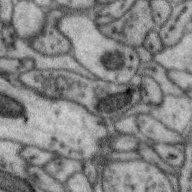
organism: Zebra finch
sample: Brain